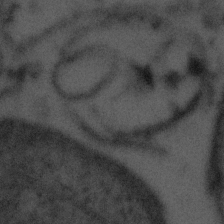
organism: Tuwongella immobilis